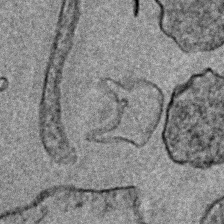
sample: Trachea